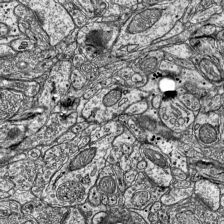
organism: Mouse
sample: Visual Cortex